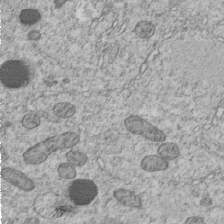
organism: C. elegans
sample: C. elegans embryo early stage